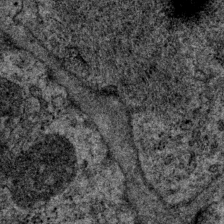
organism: P. pacificus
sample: Pharynx